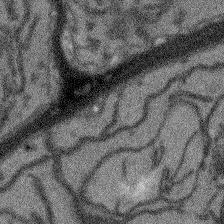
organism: Arabidopsis thaliana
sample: Root tip